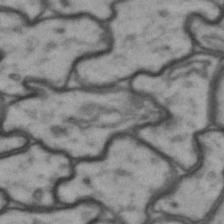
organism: Drosophila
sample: Brain